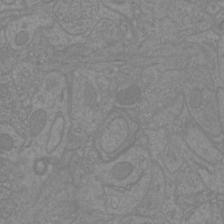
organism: Mouse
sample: Cortical neurons